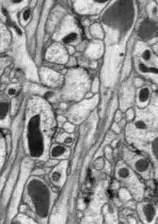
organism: Drosophila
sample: Optic lobe